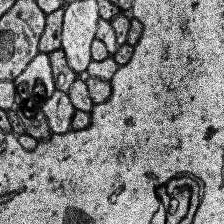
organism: Human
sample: Temporal Lobe